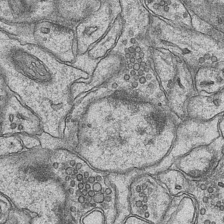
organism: Mouse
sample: CA1 Hippocampus